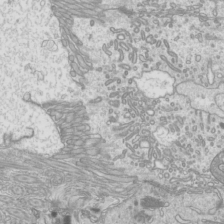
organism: Mouse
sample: Cilia; mouse epididymis